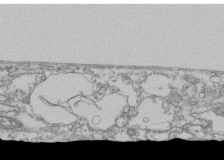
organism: Human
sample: Fibroblast cells